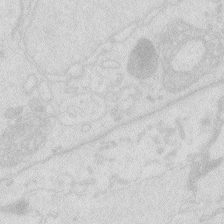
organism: Zebrafish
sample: Macrophage